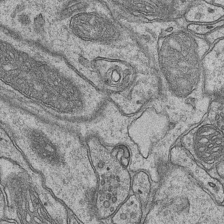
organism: Mouse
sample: CA1 Hippocampus